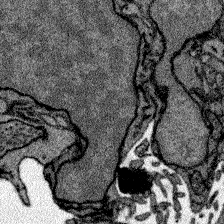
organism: Zebrafish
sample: Larval olfactory bulb